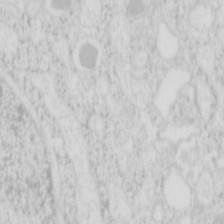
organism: Mouse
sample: Pancreas